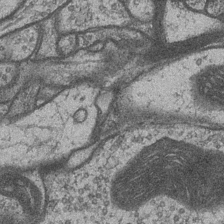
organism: Drosophila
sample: Optic medulla